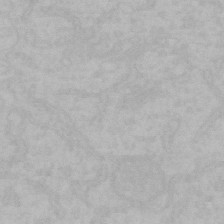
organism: Mouse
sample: Choroid plexus